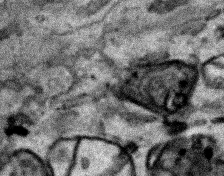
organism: Human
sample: Mitochondria in HCT116 cells